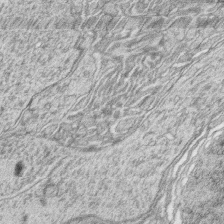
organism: Zebrafish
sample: synaptic ribbons in rod cells and cone cells